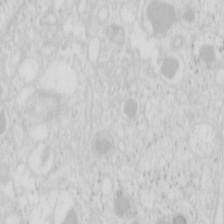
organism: Mouse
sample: Pancreas